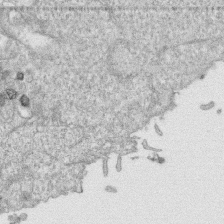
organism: Human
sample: HeLa cell HIV synapse